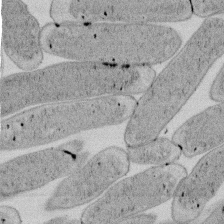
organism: E. coli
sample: Bacterial nucleoid